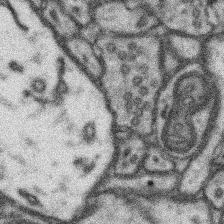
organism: Mouse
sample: Somatosensory cortex neuropil